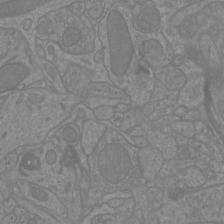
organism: Mouse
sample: Cortical neurons